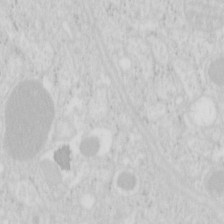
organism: Mouse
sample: Pancreas